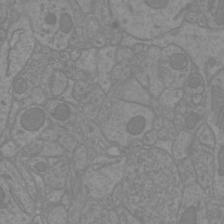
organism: Mouse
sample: Cortical neurons